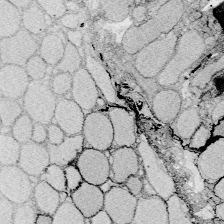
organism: Zebrafish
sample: Whole-Brain